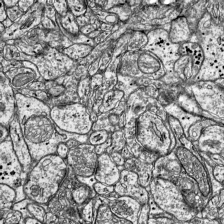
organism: Mouse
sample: Visual Cortex